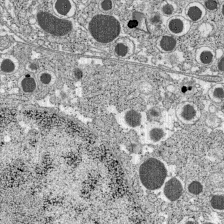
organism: C57BL Mouse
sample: Pancreatic islet